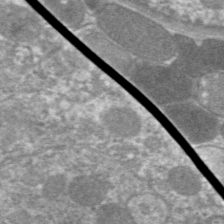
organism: C. elegans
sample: Pharynx